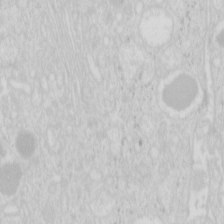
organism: Mouse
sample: Pancreas